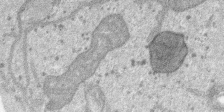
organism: Human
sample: Lung epithelial cells infected with SARS-CoV-2